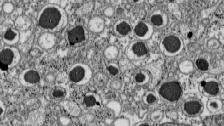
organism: C57BL Mouse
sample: Pancreatic islet